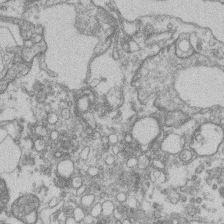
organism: Mouse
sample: T cell stromal cell synapse